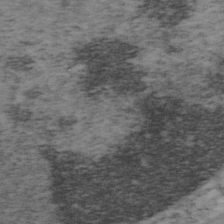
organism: Mouse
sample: OT-I killer T cells with ID8 ovarian cancer cells